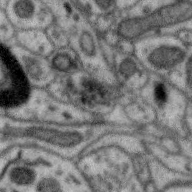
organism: Zebra finch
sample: Brain